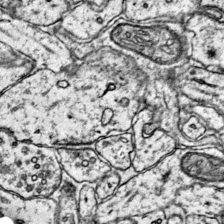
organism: Mouse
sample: Primary visual cortex